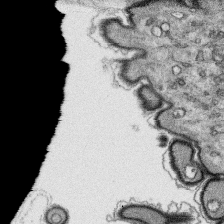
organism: Platynereis dumerilii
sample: Parapodia